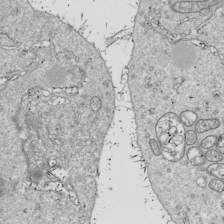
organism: Drosophila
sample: Cell division; meiosis; drosophila spermatocytes